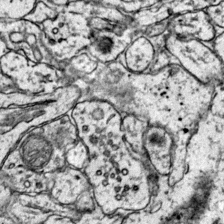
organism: Mouse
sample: Primary visual cortex